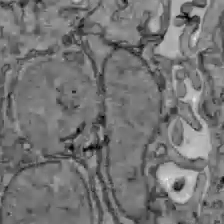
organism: C57BL Mouse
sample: Liver